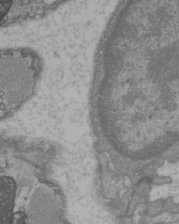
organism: C57BL Mouse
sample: Heart